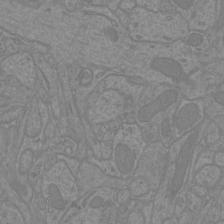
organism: Mouse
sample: Cortical neurons